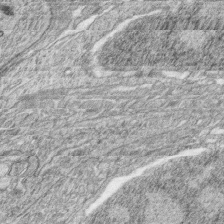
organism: Zebrafish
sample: synaptic ribbons in rod cells and cone cells